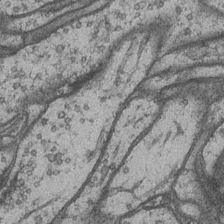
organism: Drosophila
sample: Optic medulla